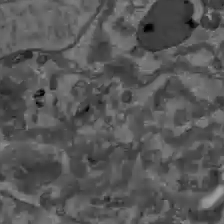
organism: C57BL Mouse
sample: Liver